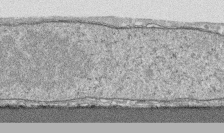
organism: Human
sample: CRL-1474